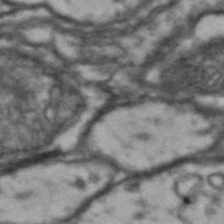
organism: Drosophila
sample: Brain